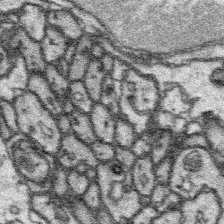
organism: Platynereis dumerilii